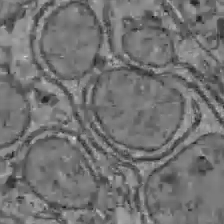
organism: C57BL Mouse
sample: Liver